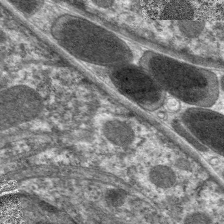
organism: C. elegans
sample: Pharynx